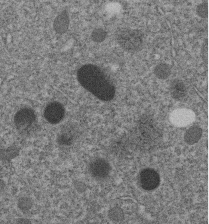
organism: C. elegans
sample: C. elegans embryo early stage